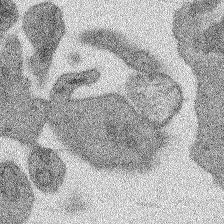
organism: Human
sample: HeLa cells